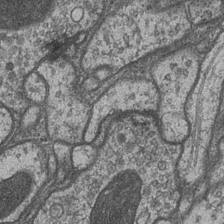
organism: Drosophila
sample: Optic medulla